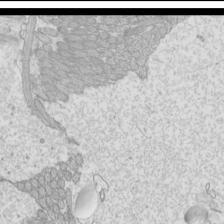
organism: Mouse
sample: Cilia; mouse epididymis